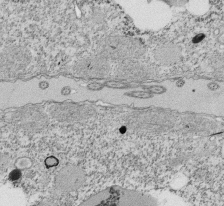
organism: Tetrahymena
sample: Cilia in tetrahymena